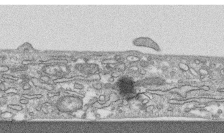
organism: Human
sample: CRL-1474